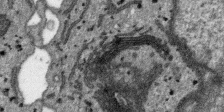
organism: Human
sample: Lung epithelial cells, uninfected (mock) control